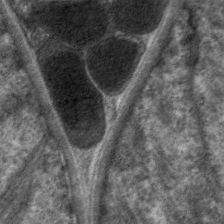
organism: C. elegans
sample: Pharynx